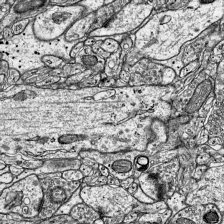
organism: Mouse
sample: Visual Cortex